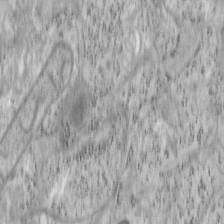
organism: Human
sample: HeLa cells